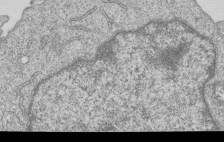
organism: Human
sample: MDA-MB-231 cells